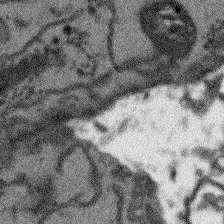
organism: Arabidopsis thaliana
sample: Root tip